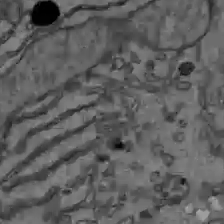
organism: C57BL Mouse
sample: Liver